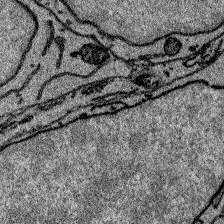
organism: Zebrafish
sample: Larval olfactory bulb